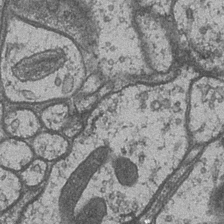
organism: Drosophila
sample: Optic medulla